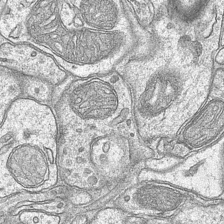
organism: Mouse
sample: CA1 Hippocampus